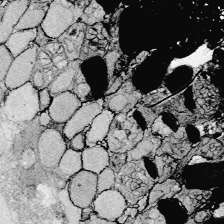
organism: Zebrafish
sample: Whole-Brain